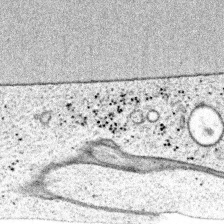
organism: Human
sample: HeLa cells